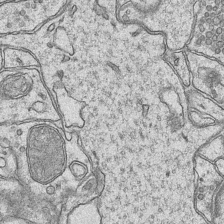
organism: Mouse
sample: CA1 Hippocampus